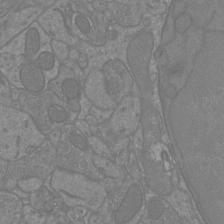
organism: Mouse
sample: Cortical neurons